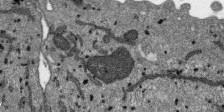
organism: Human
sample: Lung epithelial cells, uninfected (mock) control